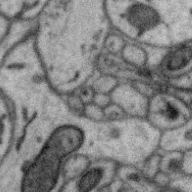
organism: Zebra finch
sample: Brain